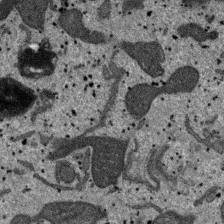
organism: Human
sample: Lung epithelial cells, uninfected (mock) control